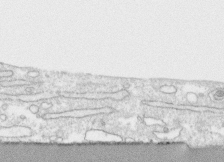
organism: Human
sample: CRL-1474